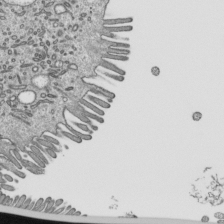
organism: Mouse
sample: Mouse epididymis efferent ductule cilia